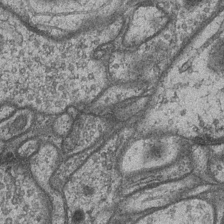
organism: Drosophila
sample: Optic medulla